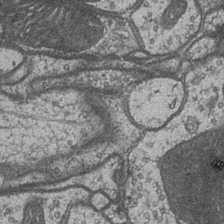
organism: Drosophila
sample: Optic medulla